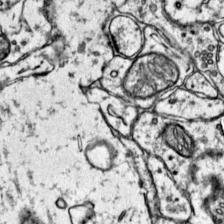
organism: Mouse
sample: Primary visual cortex